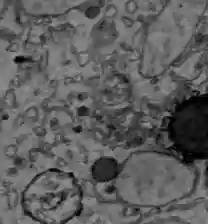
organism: C57BL Mouse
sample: Liver